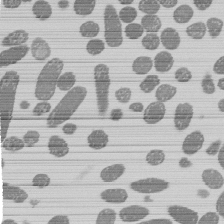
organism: E. coli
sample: Bacterial nucleoid